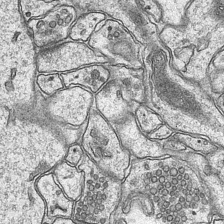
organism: Mouse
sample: CA1 Hippocampus